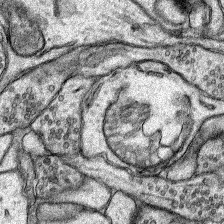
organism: Rat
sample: Hippocampus